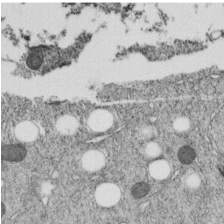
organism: C. elegans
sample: C. elegans embryo early stage